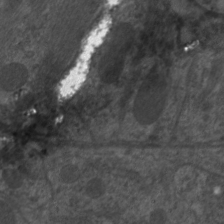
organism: C. elegans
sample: Pharynx